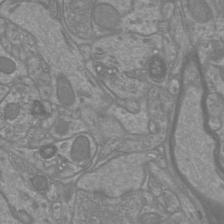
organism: Mouse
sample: Cortical neurons